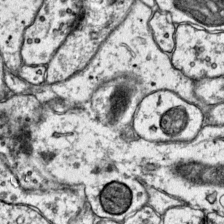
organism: Mouse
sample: Primary visual cortex